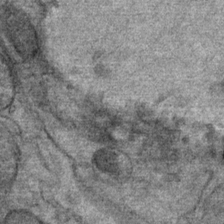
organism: Mouse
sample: Mouse Salivary gland